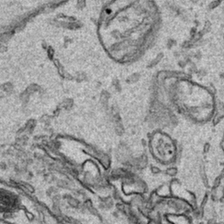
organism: Human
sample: Mitochondria in HCT116 cells